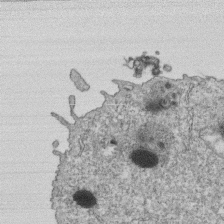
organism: Human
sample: HeLa cell HIV synapse